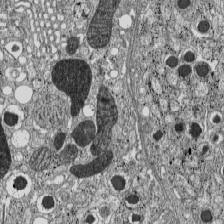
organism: C57BL Mouse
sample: Pancreatic islet